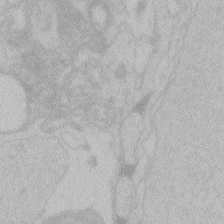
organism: Zebrafish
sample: Macrophage infected with Toxoplasma gondii